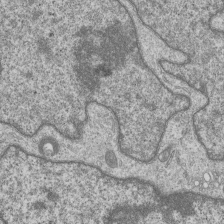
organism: Human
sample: MDA-MB-231 cells